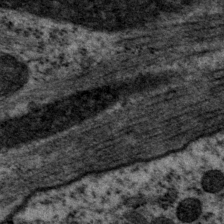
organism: P. pacificus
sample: Pharynx